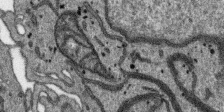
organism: Human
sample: Lung epithelial cells, uninfected (mock) control